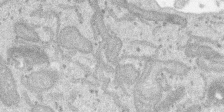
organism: Human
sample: Lung epithelial cells infected with SARS-CoV-2